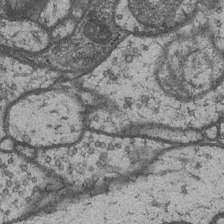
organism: Drosophila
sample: Optic medulla